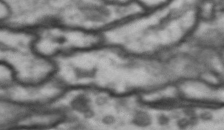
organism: Drosophila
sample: Brain